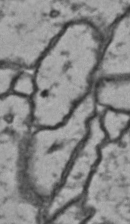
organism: Drosophila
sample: Brain